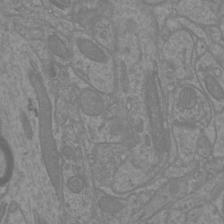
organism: Mouse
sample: Cortical neurons